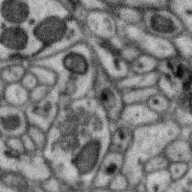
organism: Zebra finch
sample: Brain